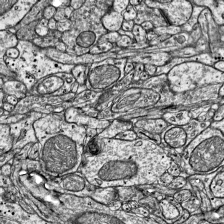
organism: Mouse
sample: Visual Cortex